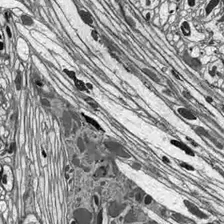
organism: Drosophila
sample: Optic lobe